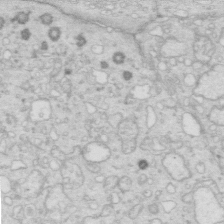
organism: Mouse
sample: Multiciliated cells